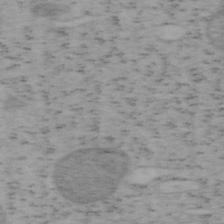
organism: Mouse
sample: OT-I killer T cells with ID8 ovarian cancer cells